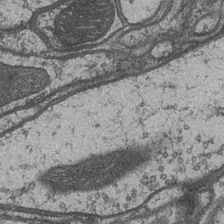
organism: Drosophila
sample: Optic medulla